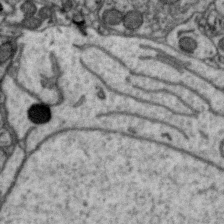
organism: Zebra finch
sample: Brain